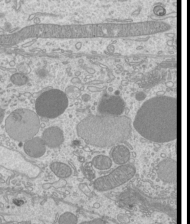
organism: Mouse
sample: Cilia; mouse epididymis